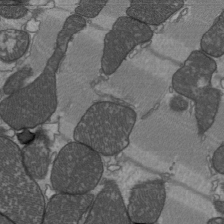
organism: C57BL Mouse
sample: Heart